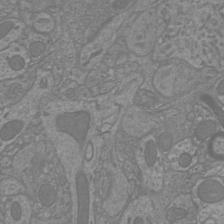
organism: Mouse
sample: Cortical neurons